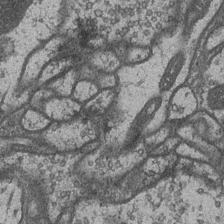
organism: Drosophila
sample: Optic medulla